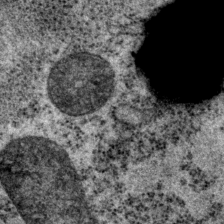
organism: P. pacificus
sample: Pharynx